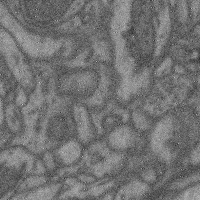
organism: Mouse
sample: Cerebral cortex